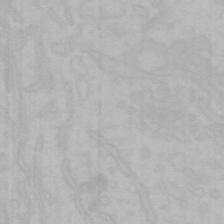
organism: Mouse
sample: Choroid plexus